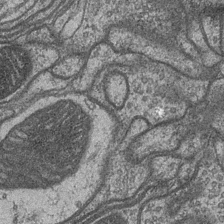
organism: Drosophila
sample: Optic medulla